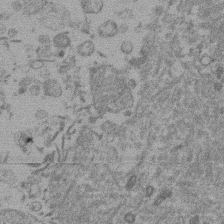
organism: Mouse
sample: Dividing mouse embryo 1 cell stage